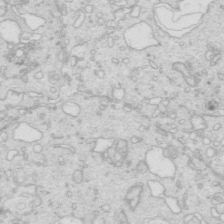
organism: Mouse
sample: Multiciliated cells